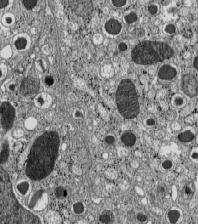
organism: C57BL Mouse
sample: Pancreatic islet